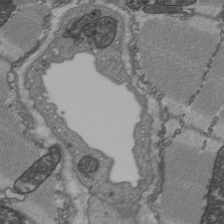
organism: C57BL Mouse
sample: Heart